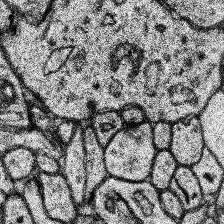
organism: Human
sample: Temporal Lobe